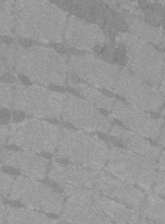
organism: C57BL Mouse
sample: Tibialis anterior muscle cell